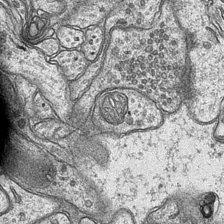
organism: Mouse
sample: CA1 Hippocampus